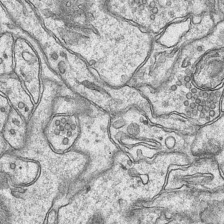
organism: Mouse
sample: CA1 Hippocampus